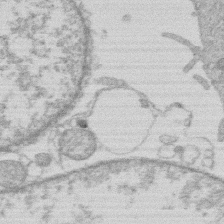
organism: Human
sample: Macrophage cells